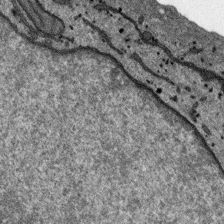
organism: Human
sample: Lung epithelial cells, uninfected (mock) control